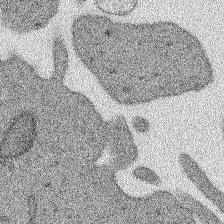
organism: Human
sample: HeLa cells